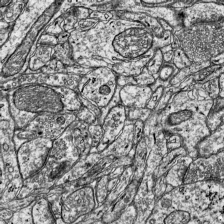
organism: Mouse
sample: Visual Cortex